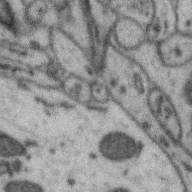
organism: Zebra finch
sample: Brain